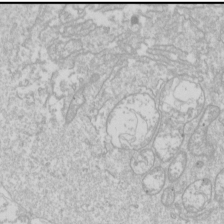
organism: Drosophila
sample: Cell division; meiosis; drosophila spermatocytes